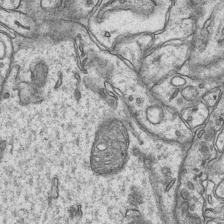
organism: Mouse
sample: CA1 Hippocampus